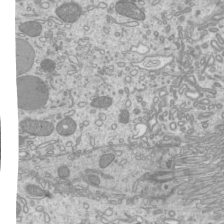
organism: Mouse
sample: Cilia; mouse epididymis